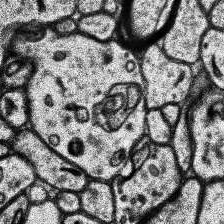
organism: Human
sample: Temporal Lobe